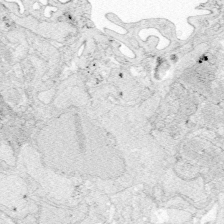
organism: Zebrafish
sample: Whole-Brain